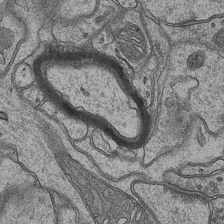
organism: Mouse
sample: CA1 Hippocampus